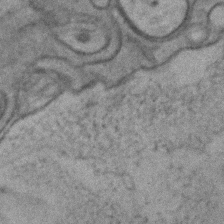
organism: C. elegans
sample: C. elegans embryo